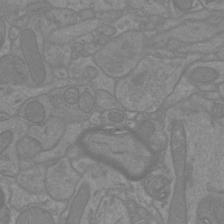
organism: Mouse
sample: Cortical neurons